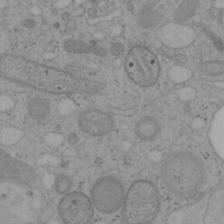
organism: Mouse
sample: OT-I killer T cells with ID8 ovarian cancer cells